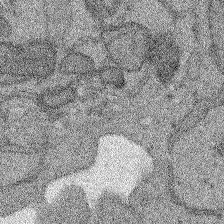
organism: Human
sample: HeLa cells